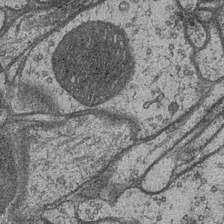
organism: Drosophila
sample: Optic medulla